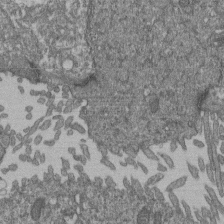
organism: Human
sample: Retinal organoid Rod and Cone cells